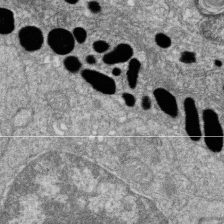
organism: Zebrafish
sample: Cilia; retinal pigment epithelium